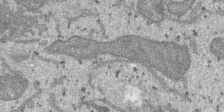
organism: Human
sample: Lung epithelial cells infected with SARS-CoV-2